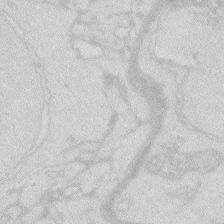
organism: Zebrafish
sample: Macrophage